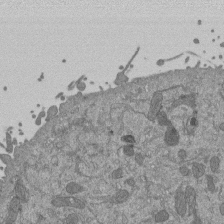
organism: Mouse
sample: ED-1 cell nuclei; centrioles